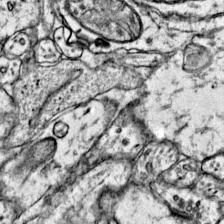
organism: Mouse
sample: Primary visual cortex